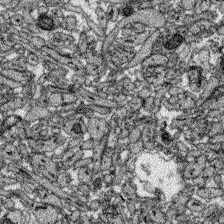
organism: Zebrafish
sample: Larval olfactory bulb